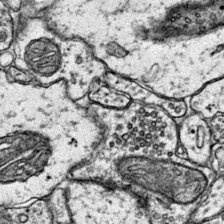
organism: Mouse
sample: Primary visual cortex